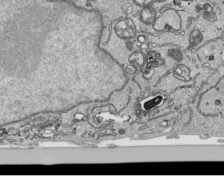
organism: Human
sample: Mitochondria in HCT116 cells